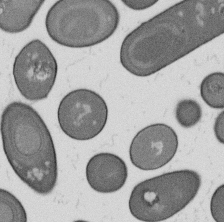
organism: B. subtilis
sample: Bacterial spore